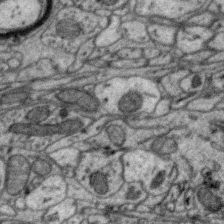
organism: Zebra finch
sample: Brain